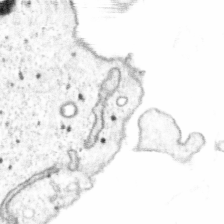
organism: Human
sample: HeLa cells